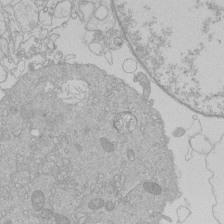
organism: Human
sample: Macrophage cells